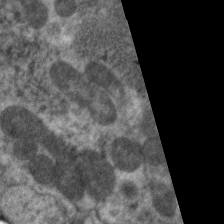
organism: C. elegans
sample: Pharynx